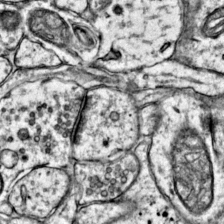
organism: Mouse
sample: Primary visual cortex